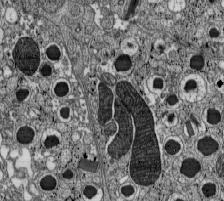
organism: C57BL Mouse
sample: Pancreatic islet